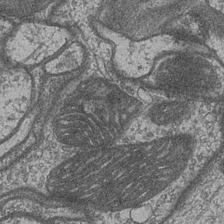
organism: Drosophila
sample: Optic medulla